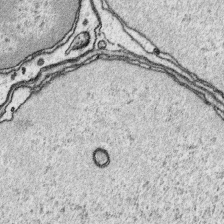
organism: Platynereis dumerilii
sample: Parapodia